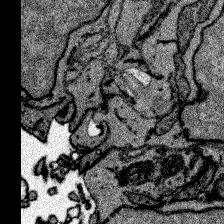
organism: Zebrafish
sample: Larval olfactory bulb